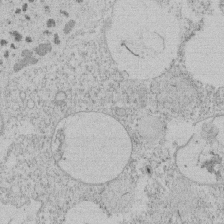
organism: Tetrahymena